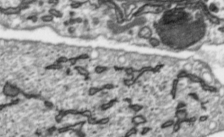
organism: Toxoplasma gondii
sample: Parasites in a vacuole inside a host cell